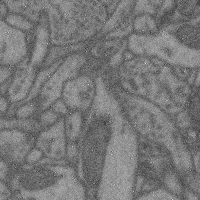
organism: Mouse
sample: Cerebral cortex